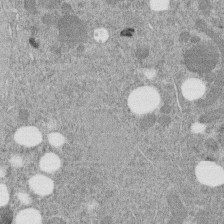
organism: C. elegans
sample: C. elegans embryo early stage